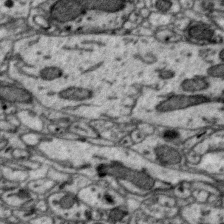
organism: Zebra finch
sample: Brain